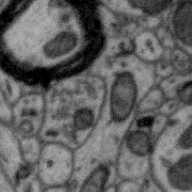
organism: Zebra finch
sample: Brain